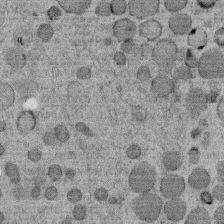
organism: C. elegans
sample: C. elegans embryo early stage